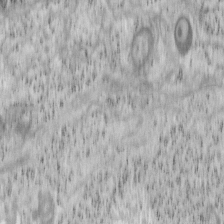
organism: Human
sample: HeLa cells